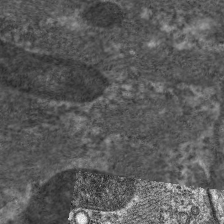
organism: C. elegans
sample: Pharynx